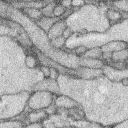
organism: Rabbit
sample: Retina